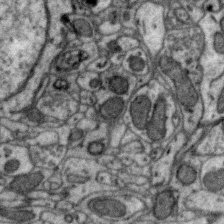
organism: Zebra finch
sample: Brain